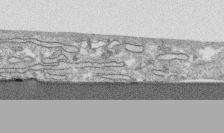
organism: Human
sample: CRL-1474